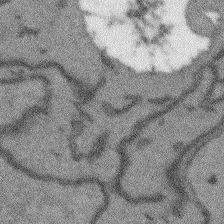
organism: Arabidopsis thaliana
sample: Root tip